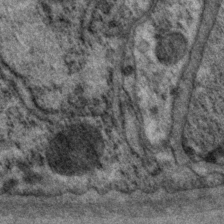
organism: P. pacificus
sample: Pharynx